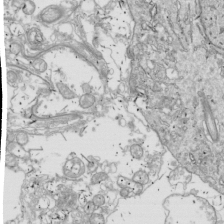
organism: Drosophila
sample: Cell division; meiosis; drosophila spermatocytes